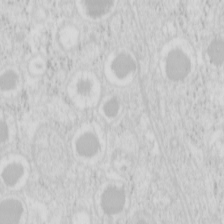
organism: Mouse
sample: Pancreas